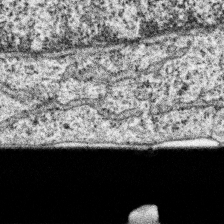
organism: Human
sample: HeLa cells